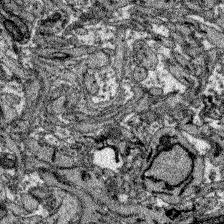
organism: Zebrafish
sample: Larval olfactory bulb